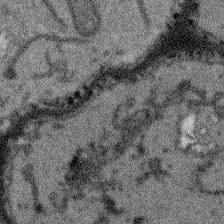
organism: Arabidopsis thaliana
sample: Root tip